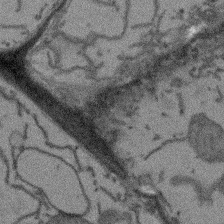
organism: Arabidopsis thaliana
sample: Root tip